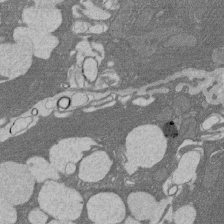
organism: Rat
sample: Salivary granule